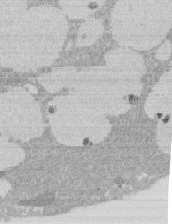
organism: Rat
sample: Salivary granule